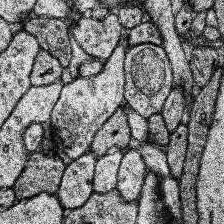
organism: Human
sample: Temporal Lobe